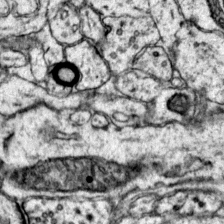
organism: Mouse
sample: Primary visual cortex